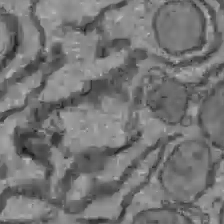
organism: C57BL Mouse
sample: Liver